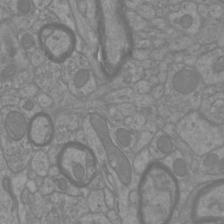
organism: Mouse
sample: Cortical neurons